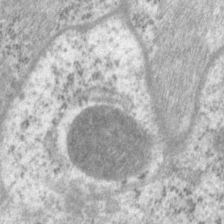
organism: P. pacificus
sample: Pharynx